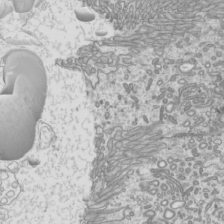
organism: Mouse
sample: Cilia; mouse epididymis